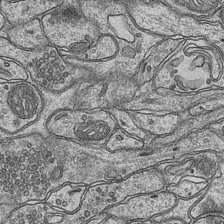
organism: Mouse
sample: CA1 Hippocampus